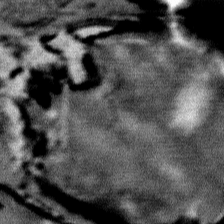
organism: Mouse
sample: Mouse Salivary gland